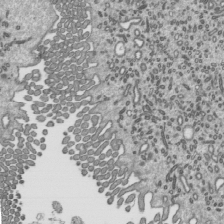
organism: Mouse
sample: Mouse epididymis efferent ductule cilia